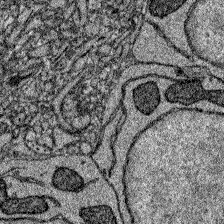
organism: Zebrafish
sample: Larval olfactory bulb